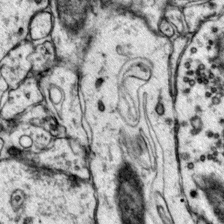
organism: Mouse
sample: Primary visual cortex